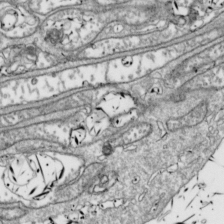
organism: Drosophila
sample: Cell division; meiosis; drosophila spermatocytes